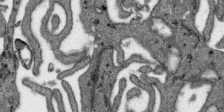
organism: Human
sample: Lung epithelial cells, uninfected (mock) control